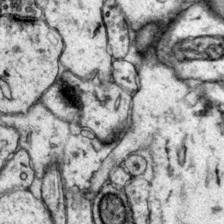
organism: Mouse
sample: Primary visual cortex